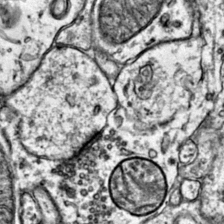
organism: Mouse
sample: Primary visual cortex